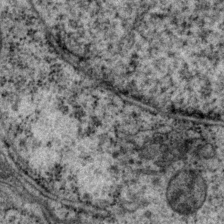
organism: P. pacificus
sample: Pharynx